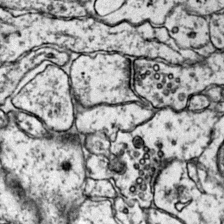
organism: Mouse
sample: Primary visual cortex